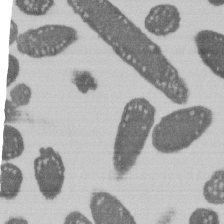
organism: E. coli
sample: Bacterial nucleoid